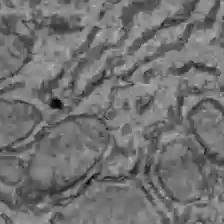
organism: C57BL Mouse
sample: Liver